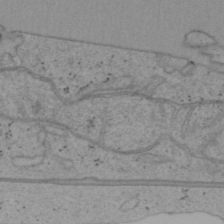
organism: Human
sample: HeLa cells